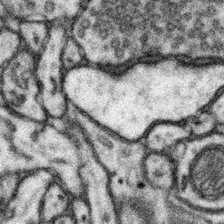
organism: Mouse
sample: Somatosensory cortex neuropil